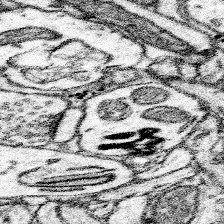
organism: Mouse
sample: Somatosensory cortex neuropil